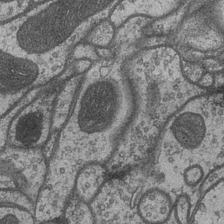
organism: Drosophila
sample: Optic medulla